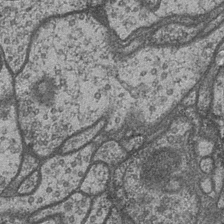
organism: Drosophila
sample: Optic medulla